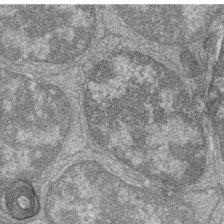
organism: Zebrafish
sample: Cilia; retinal pigment epithelium